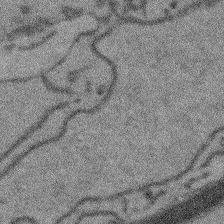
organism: Arabidopsis thaliana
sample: Root tip